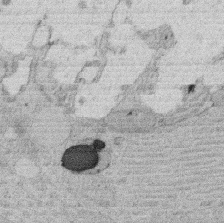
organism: Rat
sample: Salivary granule